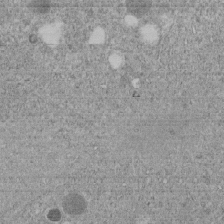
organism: C. elegans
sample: C. elegans embryo early stage